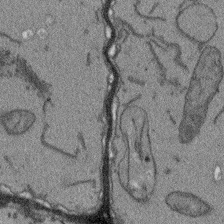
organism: Arabidopsis thaliana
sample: Root tip